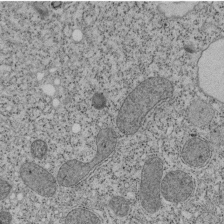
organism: Tetrahymena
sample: Cilia in tetrahymena